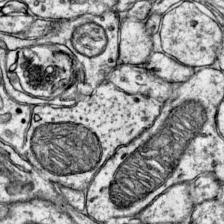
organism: Mouse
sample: Primary visual cortex